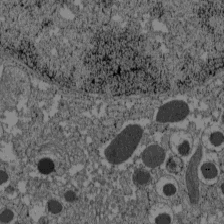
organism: C57BL Mouse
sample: Pancreatic islet